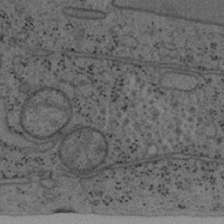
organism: Human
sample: HeLa cells